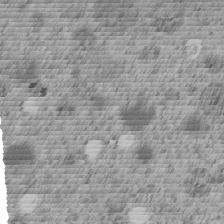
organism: C. elegans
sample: C. elegans embryo early stage